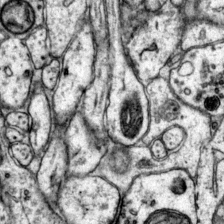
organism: Mouse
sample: Primary visual cortex